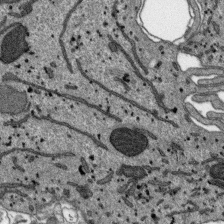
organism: Human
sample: Lung epithelial cells, uninfected (mock) control